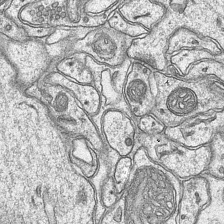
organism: Mouse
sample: CA1 Hippocampus